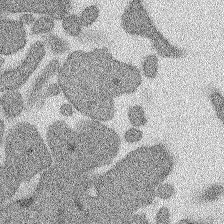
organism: Human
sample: HeLa cells